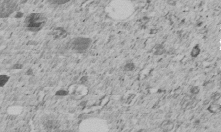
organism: C. elegans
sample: C. elegans embryo early stage